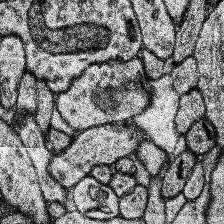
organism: Human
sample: Temporal Lobe